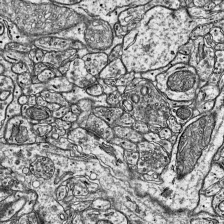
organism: Mouse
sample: Visual Cortex